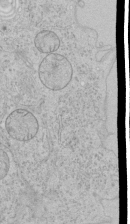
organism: Human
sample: Mitochondria in HCT116 cells